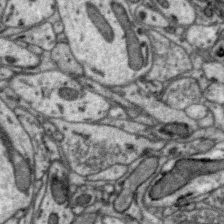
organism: Zebra finch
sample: Brain